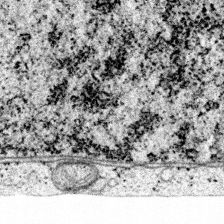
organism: Human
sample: HeLa cells